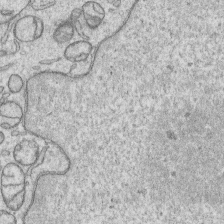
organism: Human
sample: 1205lu cells